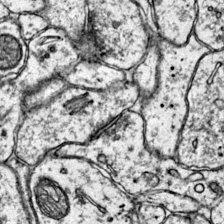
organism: Mouse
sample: Primary visual cortex